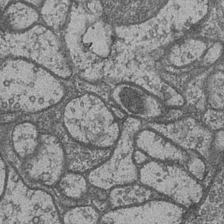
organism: Drosophila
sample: Optic medulla